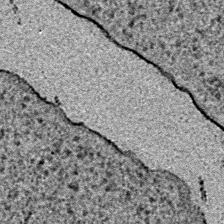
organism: E. coli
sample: E. Coli Bacteria